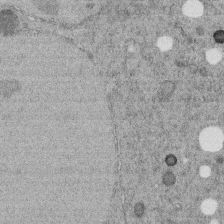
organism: C. elegans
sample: C. elegans embryo early stage